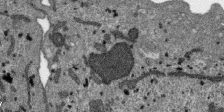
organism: Human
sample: Lung epithelial cells, uninfected (mock) control